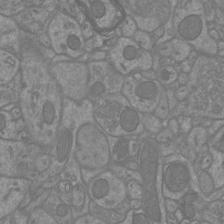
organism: Mouse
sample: Cortical neurons